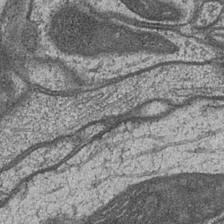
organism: Drosophila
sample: Optic medulla